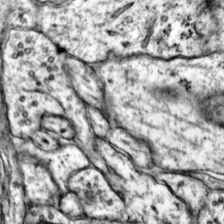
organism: Mouse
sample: Primary visual cortex